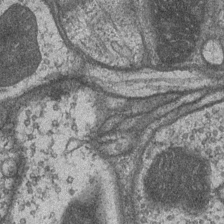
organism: Drosophila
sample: Optic medulla